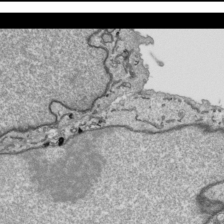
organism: Human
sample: Mitochondria in HCT116 cells